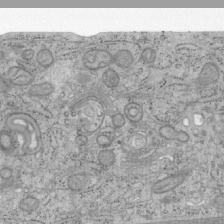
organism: Human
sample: HeLa cells